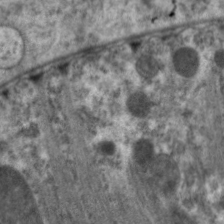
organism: C. elegans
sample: Pharynx